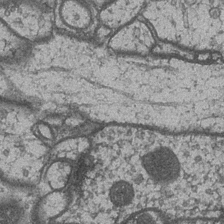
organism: Drosophila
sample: Optic medulla